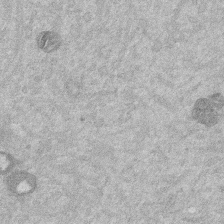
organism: Mouse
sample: Dividing mouse embryo 1 cell stage